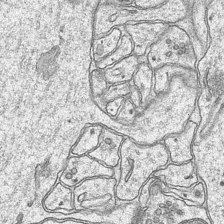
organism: Mouse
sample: CA1 Hippocampus